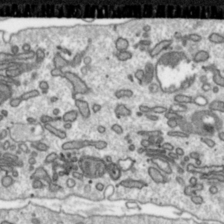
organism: Toxoplasma gondii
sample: Parasites in a vacuole inside a host cell